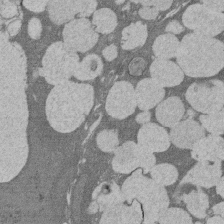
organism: Rat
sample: Salivary granule